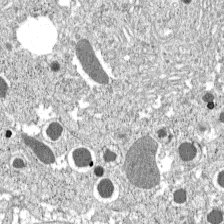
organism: C57BL Mouse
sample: Pancreatic islet